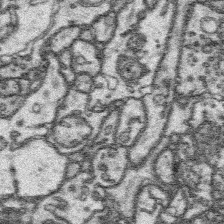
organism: Platynereis dumerilii